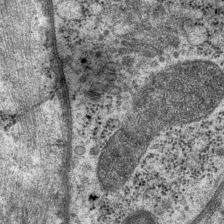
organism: P. pacificus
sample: Pharynx